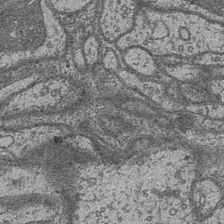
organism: Drosophila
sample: Optic medulla